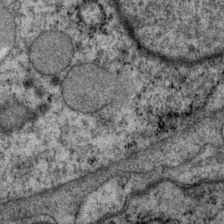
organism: P. pacificus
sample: Pharynx